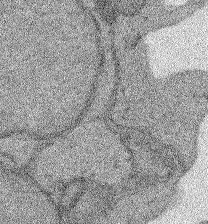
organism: Human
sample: HeLa cells